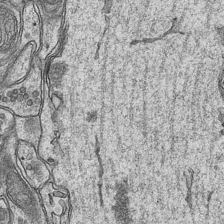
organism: Mouse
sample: CA1 Hippocampus